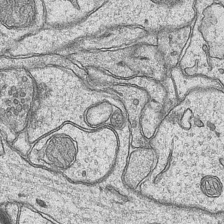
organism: Mouse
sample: CA1 Hippocampus